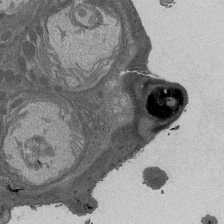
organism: Drosophila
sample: Antenna